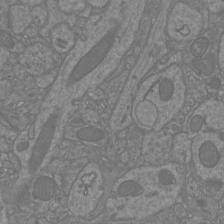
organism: Mouse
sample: Cortical neurons